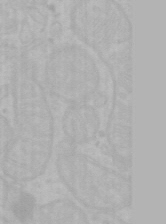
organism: Mouse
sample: Choroid plexus